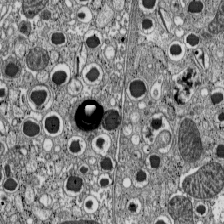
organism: C57BL Mouse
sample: Pancreatic islet